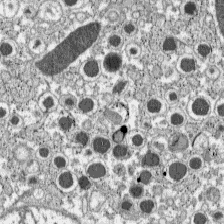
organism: C57BL Mouse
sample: Pancreatic islet